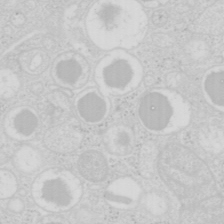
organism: Mouse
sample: Pancreas